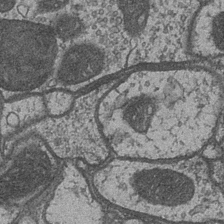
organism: Drosophila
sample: Optic medulla